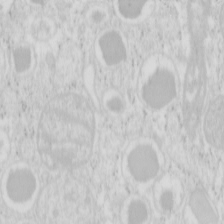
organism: Mouse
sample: Pancreas